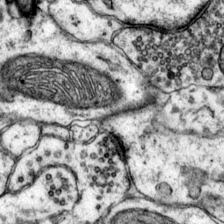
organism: Mouse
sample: Primary visual cortex